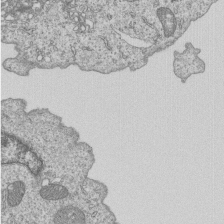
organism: Human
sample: MDA-MB-231 cells